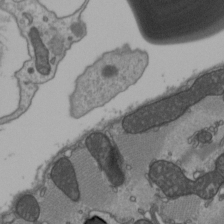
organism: C57BL Mouse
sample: Heart